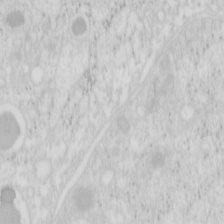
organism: Mouse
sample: Pancreas